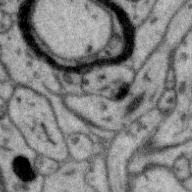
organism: Zebra finch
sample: Brain